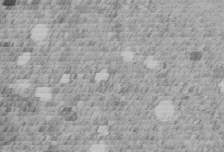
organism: C. elegans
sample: C. elegans embryo early stage